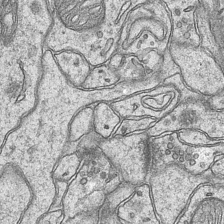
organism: Mouse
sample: CA1 Hippocampus